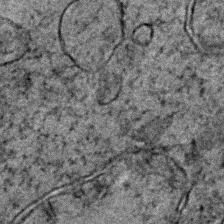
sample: Trachea